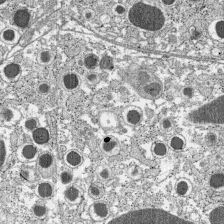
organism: C57BL Mouse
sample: Pancreatic islet